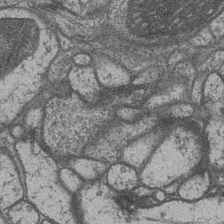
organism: Drosophila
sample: Optic medulla